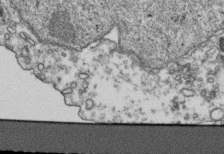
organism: Human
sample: Activated Jurkat CD4+ T cells